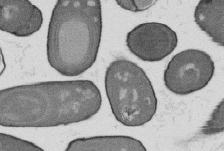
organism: B. subtilis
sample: Bacterial spore